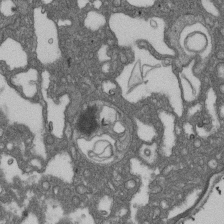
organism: Drosophila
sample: Nephrocyte